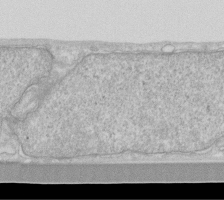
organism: Human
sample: Fibroblast cells